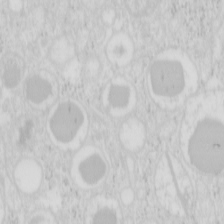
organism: Mouse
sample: Pancreas